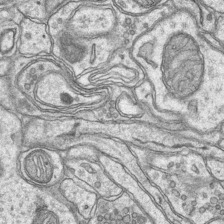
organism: Mouse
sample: CA1 Hippocampus